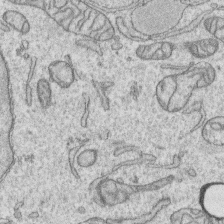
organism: Human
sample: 1205lu cells